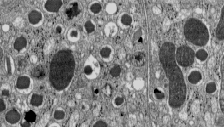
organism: C57BL Mouse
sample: Pancreatic islet